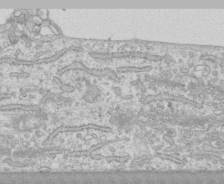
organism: Human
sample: CRL-1474